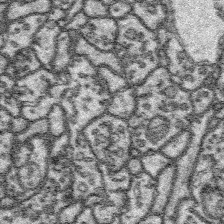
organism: Platynereis dumerilii